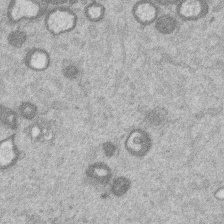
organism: Mouse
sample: Dividing mouse embryo 1 cell stage